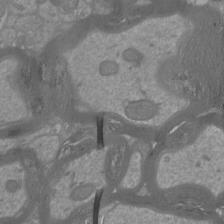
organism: Mouse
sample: Cortical neurons